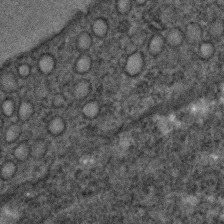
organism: C. elegans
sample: C. elegans embryo